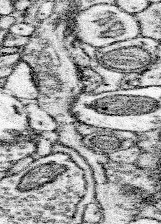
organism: Mouse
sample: Somatosensory cortex neuropil